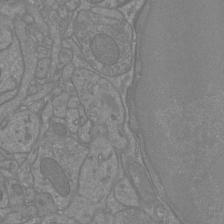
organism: Mouse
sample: Cortical neurons